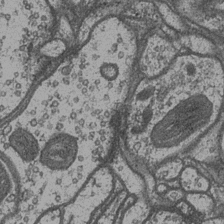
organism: Drosophila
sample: Optic medulla